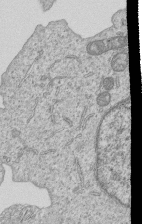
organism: Human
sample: MDA-MB-231 cells